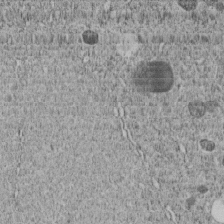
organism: C. elegans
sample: C. elegans embryo early stage